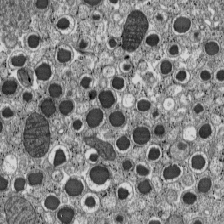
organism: C57BL Mouse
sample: Pancreatic islet